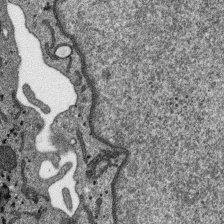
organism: Human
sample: Lung epithelial cells infected with SARS-CoV-2